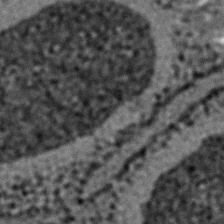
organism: C. elegans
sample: C. elegans embryo